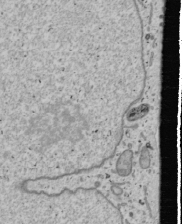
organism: Human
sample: Mitochondria in U2OS cells